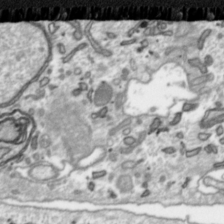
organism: Toxoplasma gondii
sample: Parasites in a vacuole inside a host cell